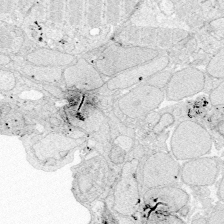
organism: Zebrafish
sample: Whole-Brain